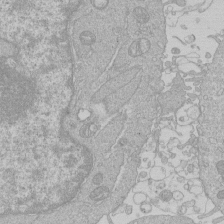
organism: Human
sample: Macrophage cells